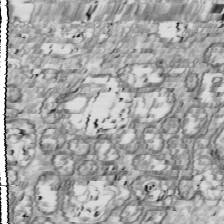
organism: Drosophila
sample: Cell division; meiosis; drosophila spermatocytes